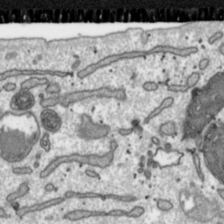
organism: Toxoplasma gondii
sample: Parasites in a vacuole inside a host cell